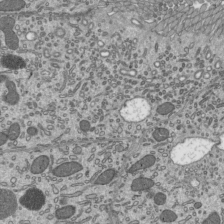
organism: Mouse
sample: Mouse epididymis efferent ductule cilia